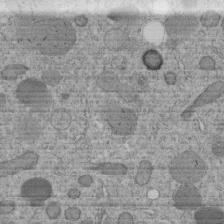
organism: C. elegans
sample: C. elegans embryo early stage